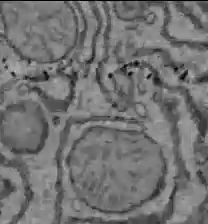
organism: C57BL Mouse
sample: Liver